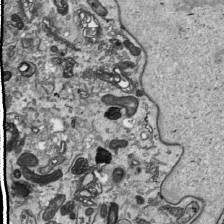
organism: Human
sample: Mitochondria in HCT116 cells